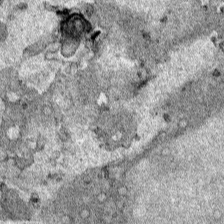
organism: Human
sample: Mitochondria in HCT116 cells